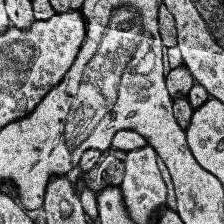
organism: Human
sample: Temporal Lobe